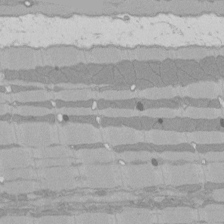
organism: Rat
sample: Left ventricle